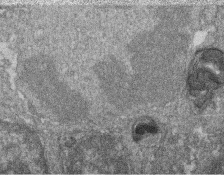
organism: Zebrafish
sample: Cilia; retinal pigment epithelium